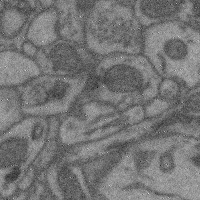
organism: Mouse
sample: Cerebral cortex